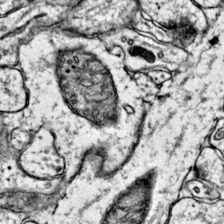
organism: Mouse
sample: Primary visual cortex